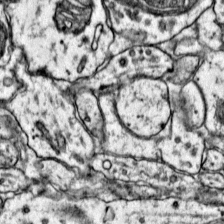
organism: Mouse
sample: Primary visual cortex